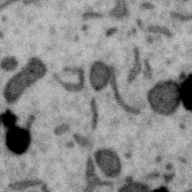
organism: Zebra finch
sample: Brain